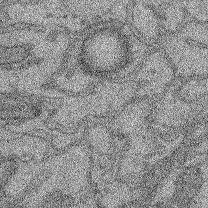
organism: Human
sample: HeLa cells